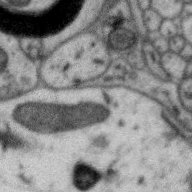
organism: Zebra finch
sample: Brain